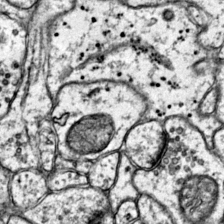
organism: Mouse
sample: Primary visual cortex